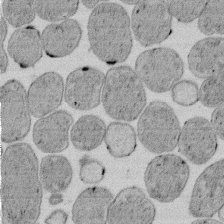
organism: E. coli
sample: Bacterial nucleoid